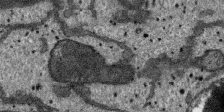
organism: Human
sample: Lung epithelial cells, uninfected (mock) control